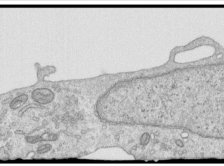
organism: Human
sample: Centriole in RPE cells